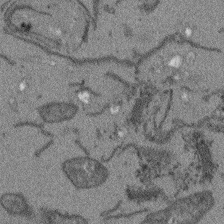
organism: Arabidopsis thaliana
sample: Root tip